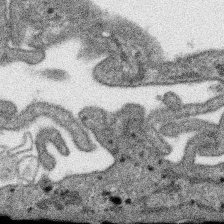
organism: Human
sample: Lung epithelial cells infected with SARS-CoV-2